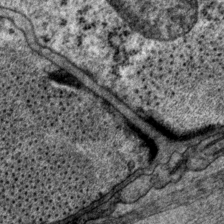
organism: P. pacificus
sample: Pharynx